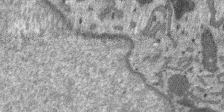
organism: Human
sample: Lung epithelial cells infected with SARS-CoV-2